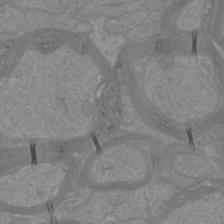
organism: Mouse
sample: Cortical neurons